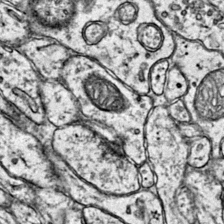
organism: Mouse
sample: Primary visual cortex